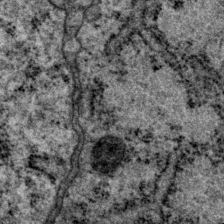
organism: P. pacificus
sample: Pharynx